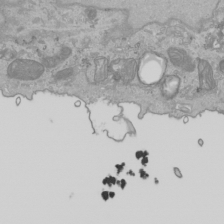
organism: Human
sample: Mitochondria in HCT116 cells